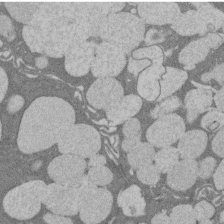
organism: Rat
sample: Salivary granule